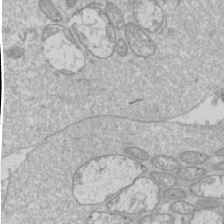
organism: Drosophila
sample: Cell division; meiosis; drosophila spermatocytes